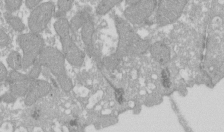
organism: Xenopus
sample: Cilia; centrioles in frog embryo cells